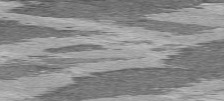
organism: C57BL Mouse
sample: Heart